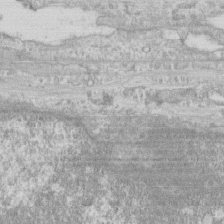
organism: Human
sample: CRL-1474